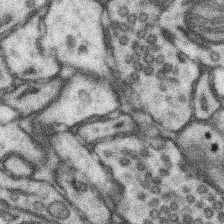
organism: Mouse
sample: Somatosensory cortex neuropil